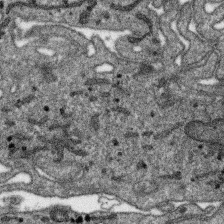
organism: Human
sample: Lung epithelial cells infected with SARS-CoV-2